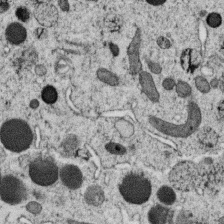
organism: C. elegans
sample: C. elegans oocyte; sperm cells